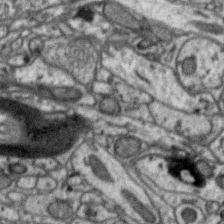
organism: Zebra finch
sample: Brain